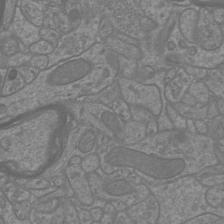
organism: Mouse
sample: Cortical neurons